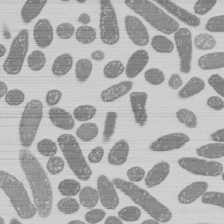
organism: E. coli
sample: Bacterial nucleoid